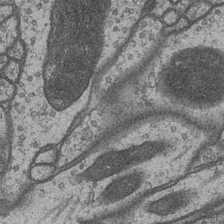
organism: Drosophila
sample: Optic medulla